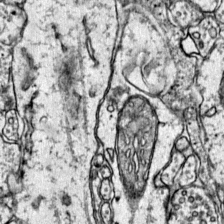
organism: Mouse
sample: Primary visual cortex